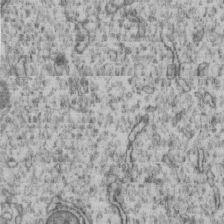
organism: Human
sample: MDA-MB-231 cells